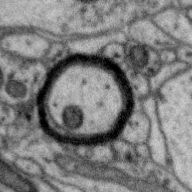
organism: Zebra finch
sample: Brain